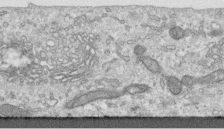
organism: Human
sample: Centriole in RPE cells